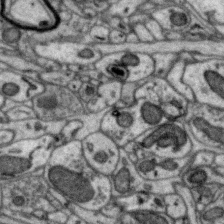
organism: Zebra finch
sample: Brain